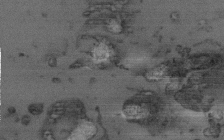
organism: Human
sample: Centriole in RPE cells